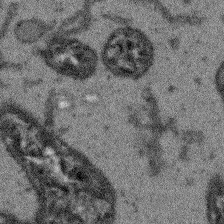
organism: Arabidopsis thaliana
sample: Root tip